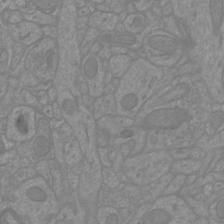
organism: Mouse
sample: Cortical neurons